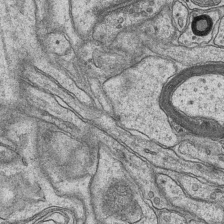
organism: Mouse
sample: CA1 Hippocampus